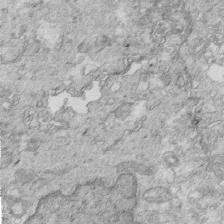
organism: Mouse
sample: Multiciliated cells